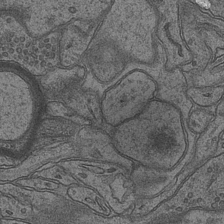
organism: Mouse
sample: CA1 Hippocampus